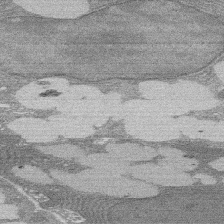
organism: Rat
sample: Salivary granule